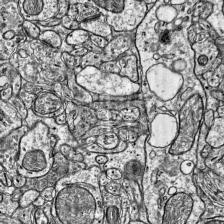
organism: Mouse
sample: Visual Cortex